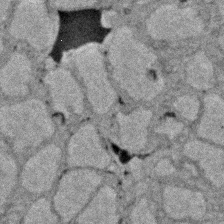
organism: Zebrafish